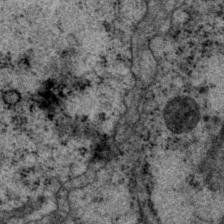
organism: P. pacificus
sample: Pharynx